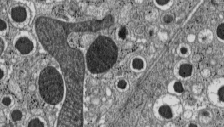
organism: C57BL Mouse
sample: Pancreatic islet